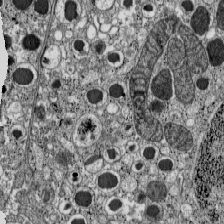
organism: C57BL Mouse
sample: Pancreatic islet